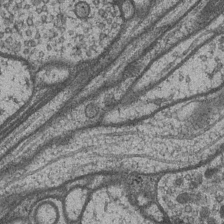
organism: Drosophila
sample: Optic medulla